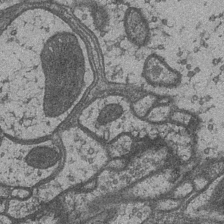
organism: Drosophila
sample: Optic medulla